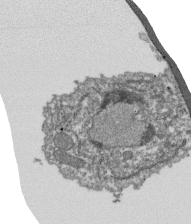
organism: Dictyostelium discoideum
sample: Dictyostelium multivesicular bodies